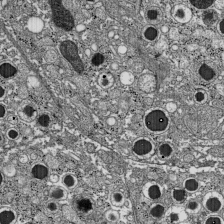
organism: C57BL Mouse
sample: Pancreatic islet